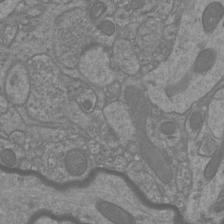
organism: Mouse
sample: Cortical neurons